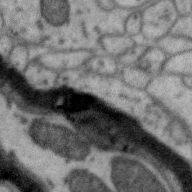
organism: Zebra finch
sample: Brain